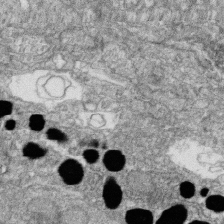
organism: Zebrafish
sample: Cilia; retinal pigment epithelium